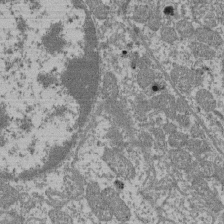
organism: Mouse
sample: Glomerulus